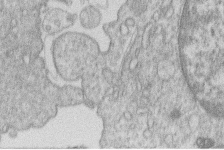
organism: Human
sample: Macrophage cells